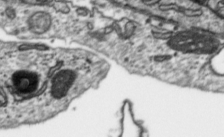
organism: Toxoplasma gondii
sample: Parasites in a vacuole inside a host cell